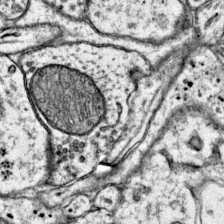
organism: Mouse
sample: Primary visual cortex